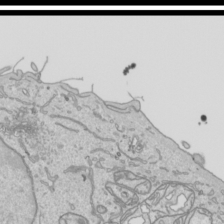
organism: Human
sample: Mitochondria in HCT116 cells